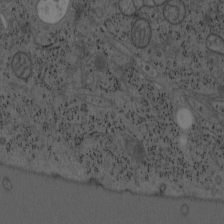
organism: Mouse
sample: OT-I killer T cells with ID8 ovarian cancer cells